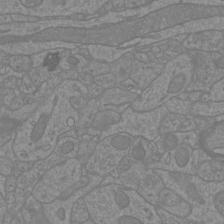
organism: Mouse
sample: Cortical neurons